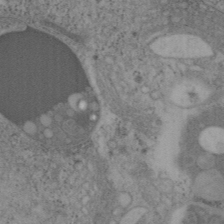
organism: Mouse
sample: OT-I killer T cells with ID8 ovarian cancer cells